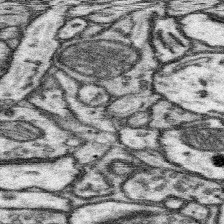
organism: Mouse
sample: Somatosensory cortex neuropil